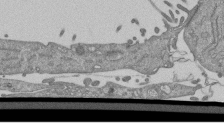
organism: Mouse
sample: ED-1 cell nuclei; centrioles